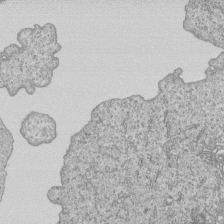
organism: Human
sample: MDA-MB-231 cells